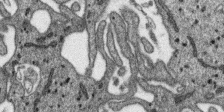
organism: Human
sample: Lung epithelial cells infected with SARS-CoV-2